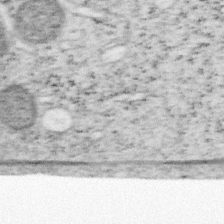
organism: Mouse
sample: OT-I killer T cells with ID8 ovarian cancer cells